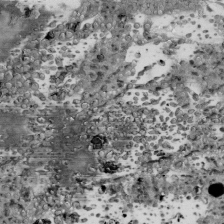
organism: Mouse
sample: ED-1 cell nuclei; centrioles